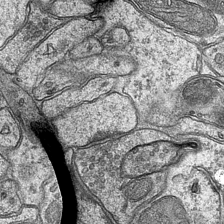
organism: Mouse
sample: CA1 Hippocampus